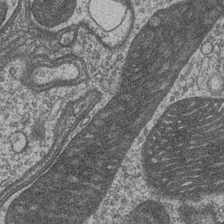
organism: Drosophila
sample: Optic medulla